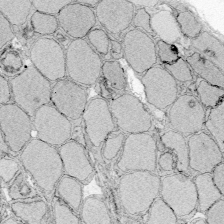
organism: Zebrafish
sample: Whole-Brain